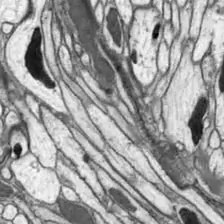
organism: Drosophila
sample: Optic lobe